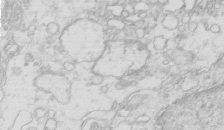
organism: Mouse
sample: Multiciliated cells